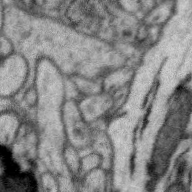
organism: Zebra finch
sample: Brain